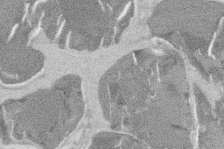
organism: Mouse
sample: T cell stromal cell synapse